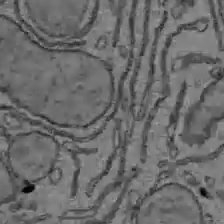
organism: C57BL Mouse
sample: Liver